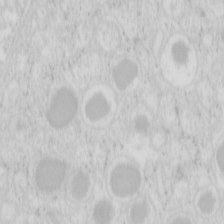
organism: Mouse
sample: Pancreas